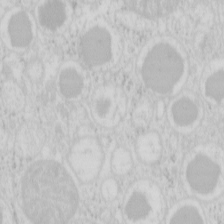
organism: Mouse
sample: Pancreas